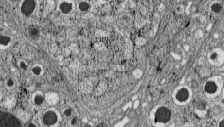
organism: C57BL Mouse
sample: Pancreatic islet